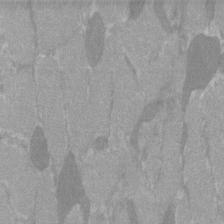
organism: C57BL Mouse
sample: Tibialis anterior muscle cell